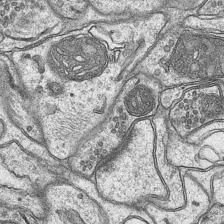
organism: Mouse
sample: CA1 Hippocampus